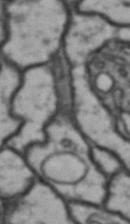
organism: Drosophila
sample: Brain